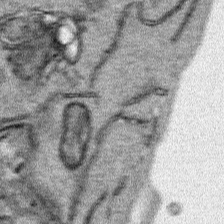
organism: Human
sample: Mitochondria in HCT116 cells